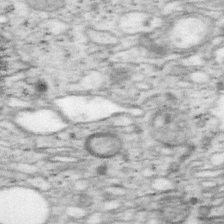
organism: Mouse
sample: OT-I killer T cells with ID8 ovarian cancer cells